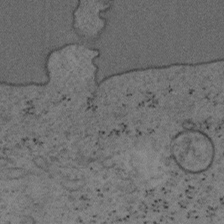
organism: Human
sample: HeLa cells